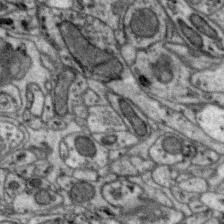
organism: Zebra finch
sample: Brain